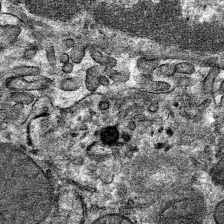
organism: Mouse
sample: Mouse hepatocytes